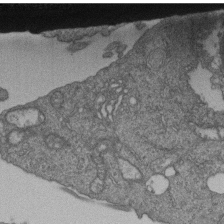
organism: Human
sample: Retinal organoid Rod and Cone cells